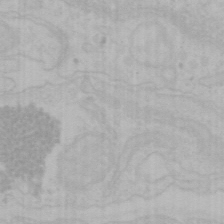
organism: Mouse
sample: Choroid plexus